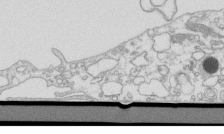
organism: Mouse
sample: Macrophages